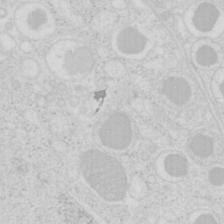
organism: Mouse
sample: Pancreas